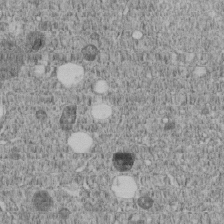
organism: C. elegans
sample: C. elegans embryo early stage